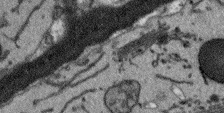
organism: Arabidopsis thaliana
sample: Root tip